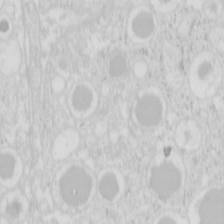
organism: Mouse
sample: Pancreas